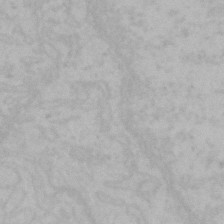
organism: Mouse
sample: Choroid plexus